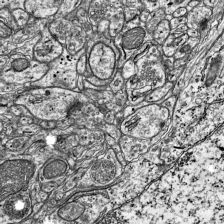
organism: Mouse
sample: Visual Cortex